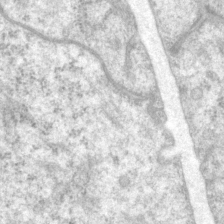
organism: P. pacificus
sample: Pharynx